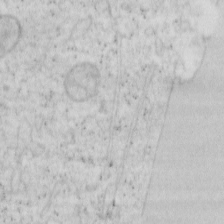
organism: Human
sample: HeLa cells